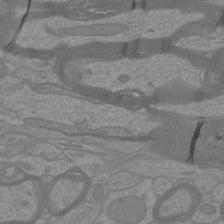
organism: Mouse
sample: Cortical neurons